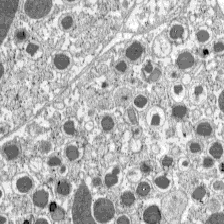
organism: C57BL Mouse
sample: Pancreatic islet